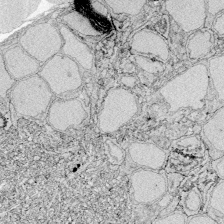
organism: Zebrafish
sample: Whole-Brain